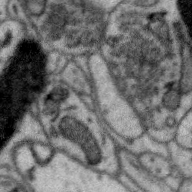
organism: Zebra finch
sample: Brain